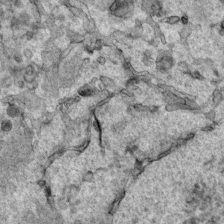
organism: Human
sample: Mitochondria in HCT116 cells